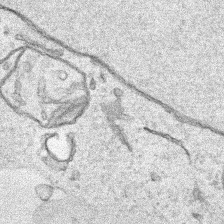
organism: Human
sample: Mitochondria in HCT116 cells